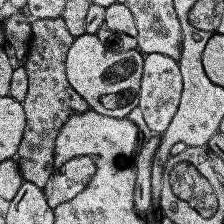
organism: Human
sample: Temporal Lobe